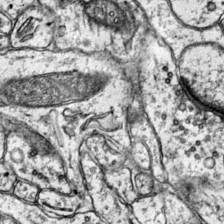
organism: Mouse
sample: Primary visual cortex